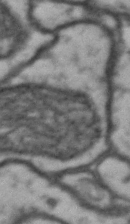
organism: Drosophila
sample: Brain